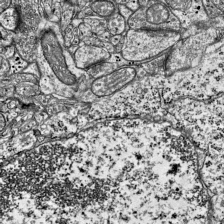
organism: Mouse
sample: Visual Cortex